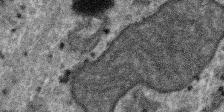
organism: Human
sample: Lung epithelial cells infected with SARS-CoV-2